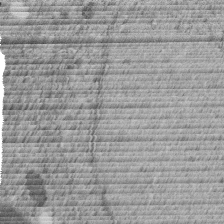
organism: C. elegans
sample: C. elegans embryo early stage